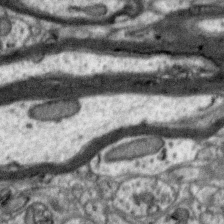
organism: Zebra finch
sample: Brain